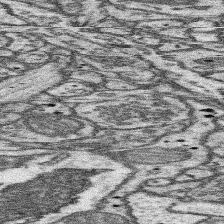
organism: Mouse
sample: Somatosensory cortex neuropil